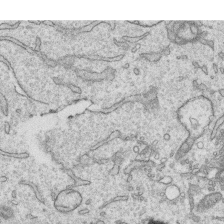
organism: Human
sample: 1205lu cells